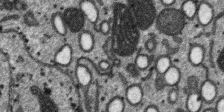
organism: Human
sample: Lung epithelial cells infected with SARS-CoV-2